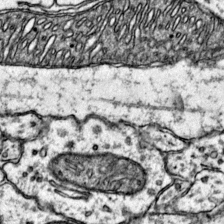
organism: Mouse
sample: Primary visual cortex